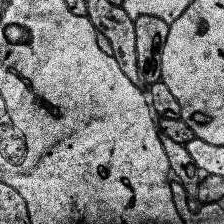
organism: Human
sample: Temporal Lobe